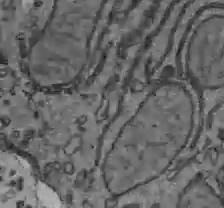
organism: C57BL Mouse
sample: Liver